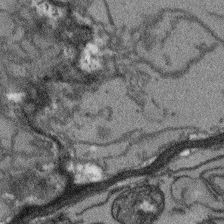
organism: Arabidopsis thaliana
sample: Root tip